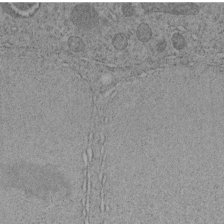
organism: C. elegans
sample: C. elegans embryo early stage